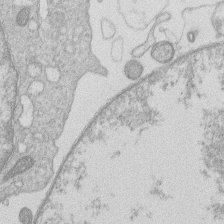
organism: Human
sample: Macrophage cells